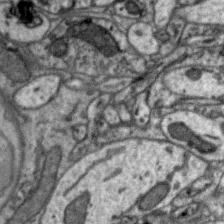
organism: Zebra finch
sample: Brain